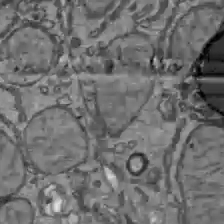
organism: C57BL Mouse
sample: Liver